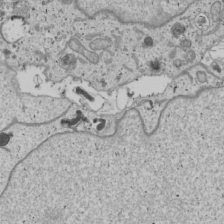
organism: Human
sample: Mitochondria in U2OS cells